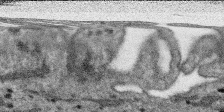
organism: Human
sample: Lung epithelial cells infected with SARS-CoV-2